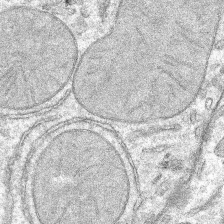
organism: Mouse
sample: Mouse hepatocytes